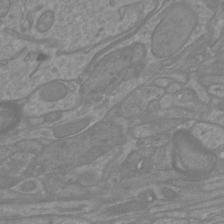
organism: Mouse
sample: Cortical neurons